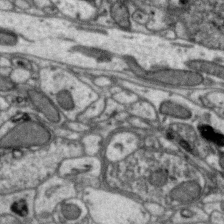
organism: Zebra finch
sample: Brain